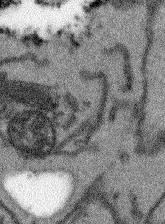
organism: Arabidopsis thaliana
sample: Root tip